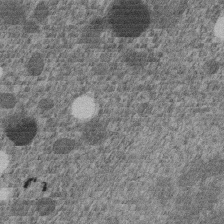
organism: C. elegans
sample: C. elegans embryo early stage